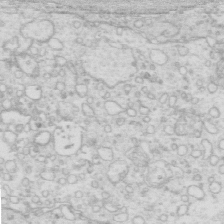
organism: Mouse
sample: Multiciliated cells